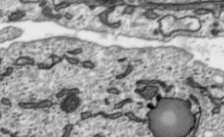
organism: Toxoplasma gondii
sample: Parasites in a vacuole inside a host cell